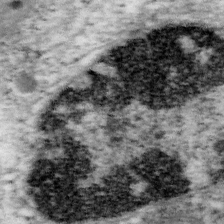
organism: Mouse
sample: OT-I killer T cells with ID8 ovarian cancer cells